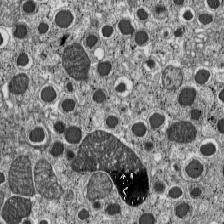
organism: C57BL Mouse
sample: Pancreatic islet